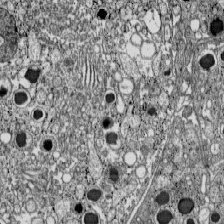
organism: C57BL Mouse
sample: Pancreatic islet